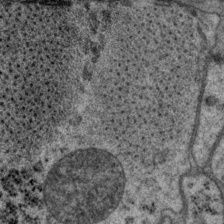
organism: P. pacificus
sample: Pharynx